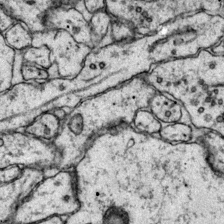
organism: Mouse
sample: Primary visual cortex